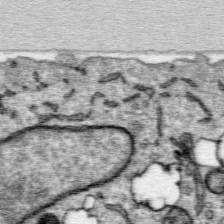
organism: Human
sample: HeLa cells